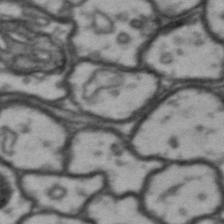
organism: Drosophila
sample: Brain